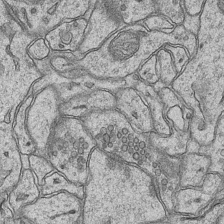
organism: Mouse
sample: CA1 Hippocampus